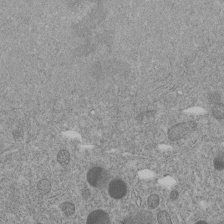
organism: C. elegans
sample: C. elegans embryo early stage